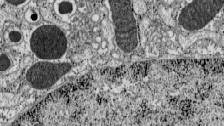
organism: C57BL Mouse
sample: Pancreatic islet